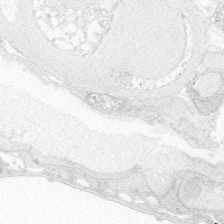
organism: Zebrafish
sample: Whole-Brain